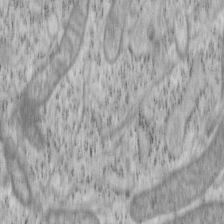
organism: Human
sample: HeLa cells